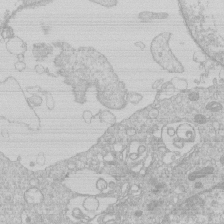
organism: Human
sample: Macrophage cells